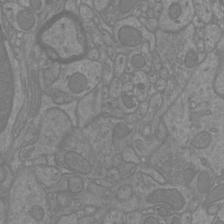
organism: Mouse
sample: Cortical neurons